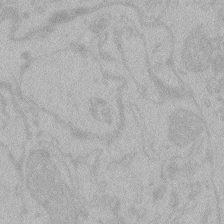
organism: Zebrafish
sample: Macrophage infected with Toxoplasma gondii